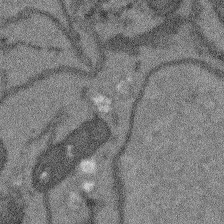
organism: Arabidopsis thaliana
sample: Root tip